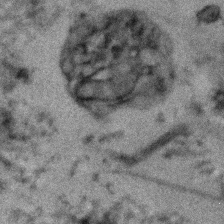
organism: Human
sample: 1205lu cells